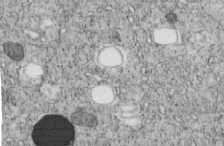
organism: C. elegans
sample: C. elegans embryo early stage